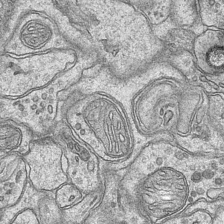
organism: Mouse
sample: CA1 Hippocampus